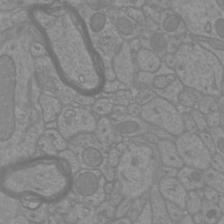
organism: Mouse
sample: Cortical neurons